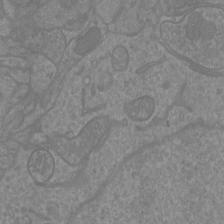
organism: Mouse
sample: Cortical neurons